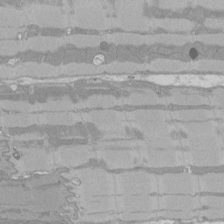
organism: Rat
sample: Left ventricle